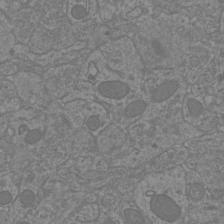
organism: Mouse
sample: Cortical neurons